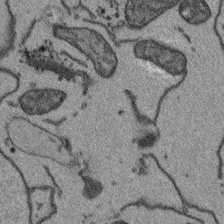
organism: Arabidopsis thaliana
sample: Root tip